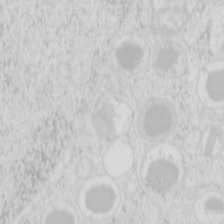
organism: Mouse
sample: Pancreas